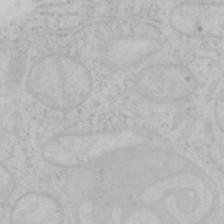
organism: Mouse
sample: OT-I killer T cells with ID8 ovarian cancer cells